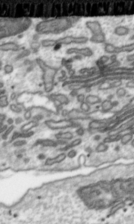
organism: Toxoplasma gondii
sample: Parasites in a vacuole inside a host cell